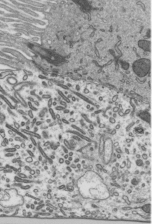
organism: Mouse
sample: Mouse epididymis efferent ductule cilia